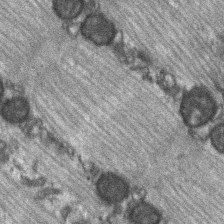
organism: C57BL Mouse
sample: Soleus